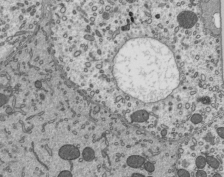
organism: Mouse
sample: Mouse epididymis efferent ductule cilia